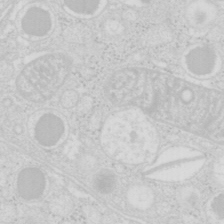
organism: Mouse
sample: Pancreas